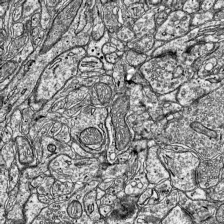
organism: Mouse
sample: Visual Cortex